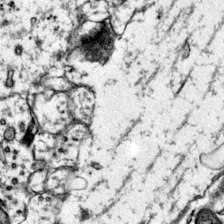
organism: Mouse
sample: Primary visual cortex